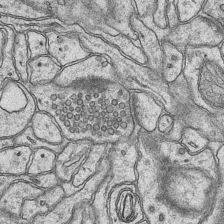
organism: Mouse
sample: CA1 Hippocampus